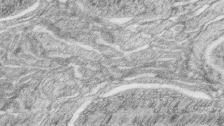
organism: Zebrafish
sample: synaptic ribbons in rod cells and cone cells